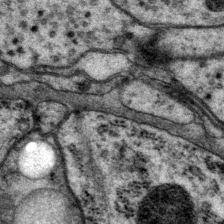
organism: P. pacificus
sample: Pharynx